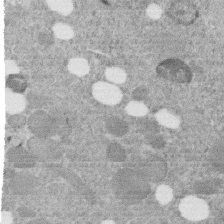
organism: C. elegans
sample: C. elegans embryo early stage